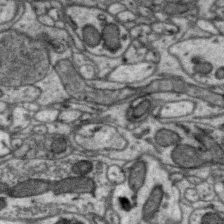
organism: Zebra finch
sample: Brain